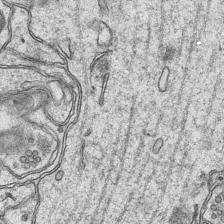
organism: Mouse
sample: CA1 Hippocampus